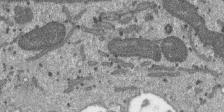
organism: Human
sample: Lung epithelial cells infected with SARS-CoV-2